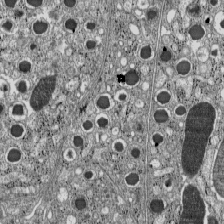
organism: C57BL Mouse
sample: Pancreatic islet